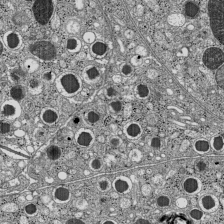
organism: C57BL Mouse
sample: Pancreatic islet